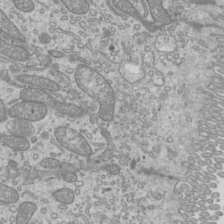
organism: Mouse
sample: Cilia; mouse epididymis